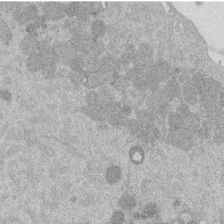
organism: Mouse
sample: Dividing mouse embryo 1 cell stage